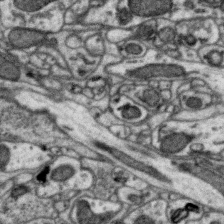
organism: Zebra finch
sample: Brain